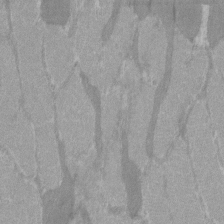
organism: C57BL Mouse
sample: Tibialis anterior muscle cell